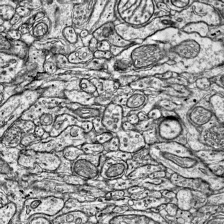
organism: Mouse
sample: Visual Cortex